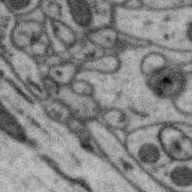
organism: Zebra finch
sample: Brain